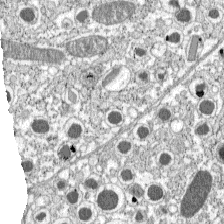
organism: C57BL Mouse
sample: Pancreatic islet